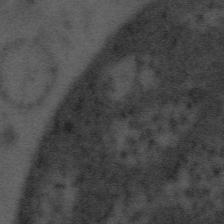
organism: Tuwongella immobilis